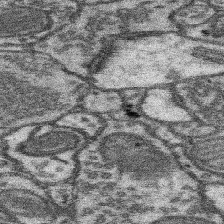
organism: Mouse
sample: Somatosensory cortex neuropil